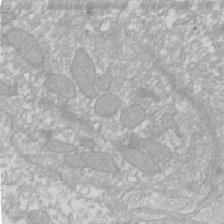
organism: Xenopus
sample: Cilia; centrioles in frog embryo cells